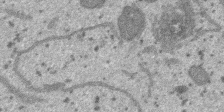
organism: Human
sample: Lung epithelial cells infected with SARS-CoV-2